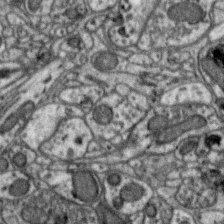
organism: Zebra finch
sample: Brain